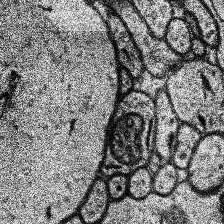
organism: Human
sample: Temporal Lobe